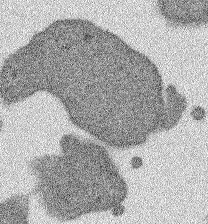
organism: Human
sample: HeLa cells